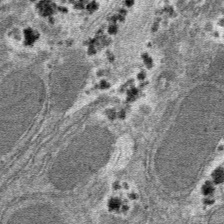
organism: Mouse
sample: Mouse hepatocytes